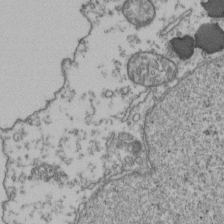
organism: Human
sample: Activated Jurkat CD4+ T cells